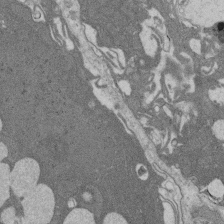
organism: Rat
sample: Salivary granule